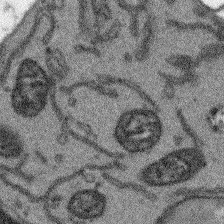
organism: Arabidopsis thaliana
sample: Root tip